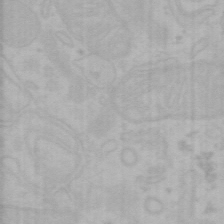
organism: Mouse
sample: Choroid plexus